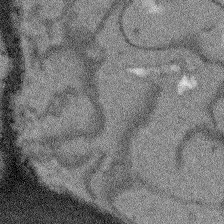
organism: Arabidopsis thaliana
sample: Root tip